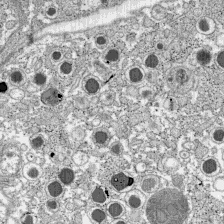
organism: C57BL Mouse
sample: Pancreatic islet